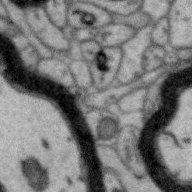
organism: Zebra finch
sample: Brain